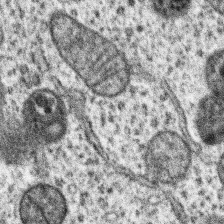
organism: Human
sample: HeLa cells